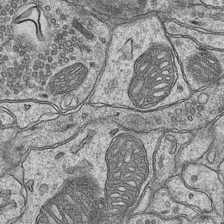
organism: Mouse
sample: CA1 Hippocampus